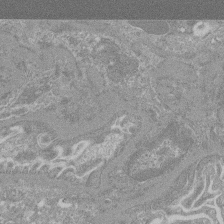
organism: Mouse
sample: Glomerulus